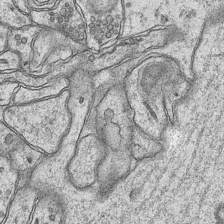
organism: Mouse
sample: CA1 Hippocampus